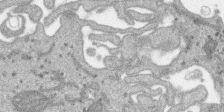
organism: Human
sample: Lung epithelial cells infected with SARS-CoV-2